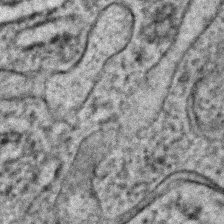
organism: C. elegans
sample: C. elegans embryo